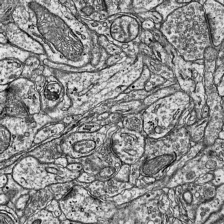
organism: Mouse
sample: Visual Cortex